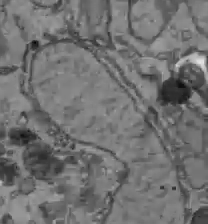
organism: C57BL Mouse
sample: Liver